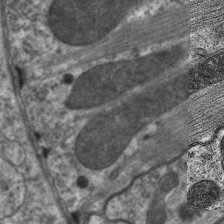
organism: C. elegans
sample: Pharynx